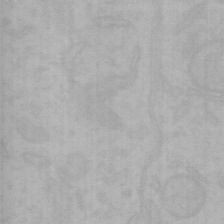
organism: Mouse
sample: Choroid plexus